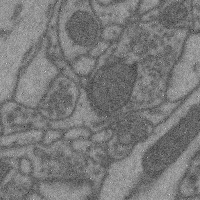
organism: Mouse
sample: Cerebral cortex